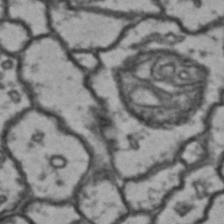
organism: Drosophila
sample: Brain